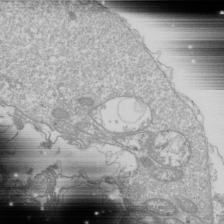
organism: Drosophila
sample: Cell division; meiosis; drosophila spermatocytes